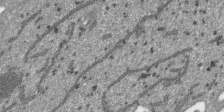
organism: Human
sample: Lung epithelial cells infected with SARS-CoV-2